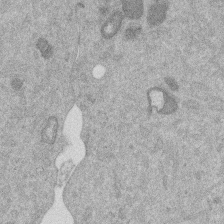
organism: Mouse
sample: Dividing mouse embryo 1 cell stage